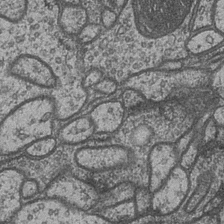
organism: Drosophila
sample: Optic medulla